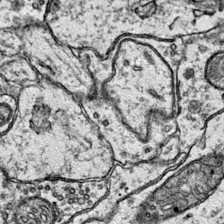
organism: Mouse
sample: Primary visual cortex